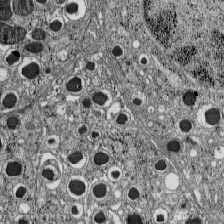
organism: C57BL Mouse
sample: Pancreatic islet